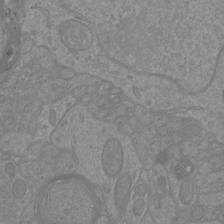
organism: Mouse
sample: Cortical neurons